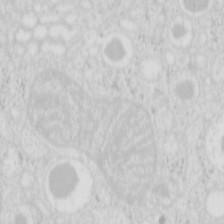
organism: Mouse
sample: Pancreas